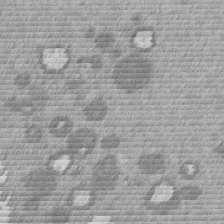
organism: Mouse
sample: Dividing mouse embryo 1 cell stage